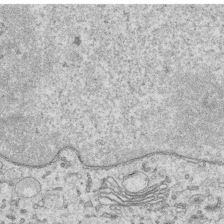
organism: Human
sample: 1205lu cells